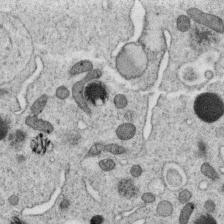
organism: C. elegans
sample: C. elegans oocyte; sperm cells